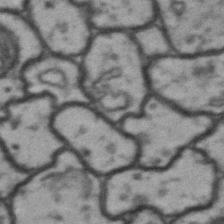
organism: Drosophila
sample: Brain